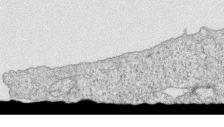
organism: Human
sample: HeLa cell HIV synapse